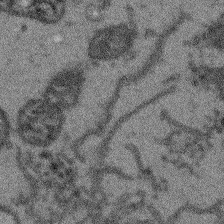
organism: Arabidopsis thaliana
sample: Root tip